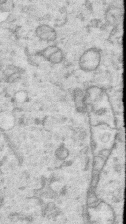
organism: Human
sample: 1205lu cells